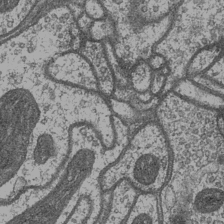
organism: Drosophila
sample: Optic medulla